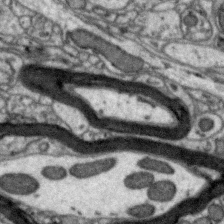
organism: Zebra finch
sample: Brain